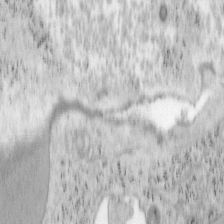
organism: Human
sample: HeLa cells